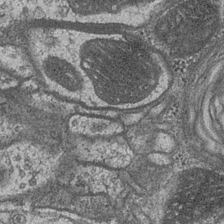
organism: Drosophila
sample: Optic medulla